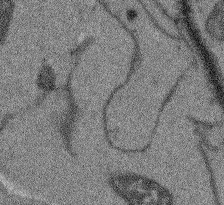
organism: Arabidopsis thaliana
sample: Root tip